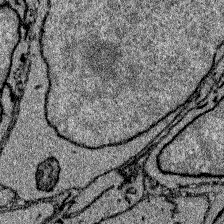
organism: Zebrafish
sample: Larval olfactory bulb